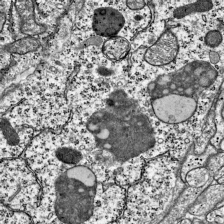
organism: Mouse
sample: Visual Cortex